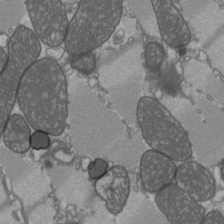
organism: C57BL Mouse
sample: Heart